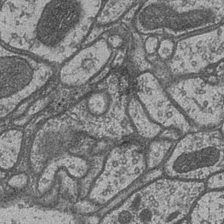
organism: Drosophila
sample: Optic medulla